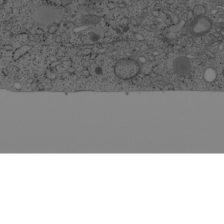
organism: African green monkey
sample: COS-7 cells